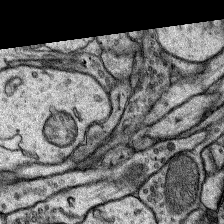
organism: Rat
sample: Hippocampus